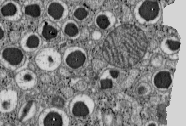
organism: C57BL Mouse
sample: Pancreatic islet